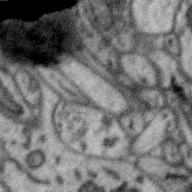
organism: Zebra finch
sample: Brain